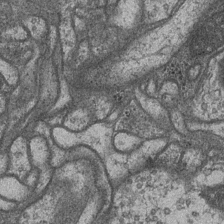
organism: Drosophila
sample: Optic medulla